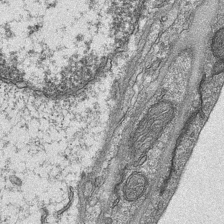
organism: Mouse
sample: CA1 Hippocampus